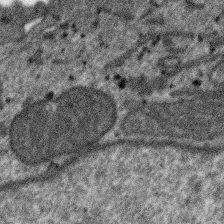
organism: Human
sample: Lung epithelial cells infected with SARS-CoV-2